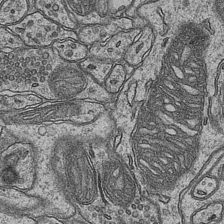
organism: Mouse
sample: CA1 Hippocampus